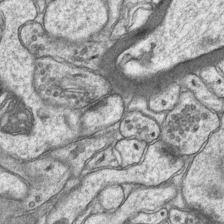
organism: Mouse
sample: CA1 Hippocampus